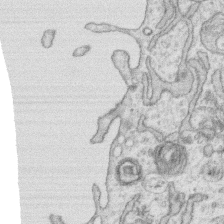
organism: Human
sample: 1205lu cells